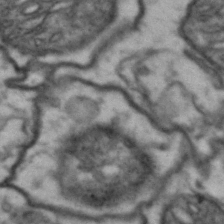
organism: Drosophila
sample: Brain